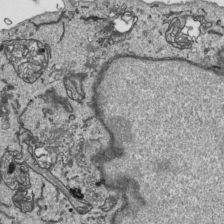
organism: Human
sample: Mitochondria in HCT116 cells